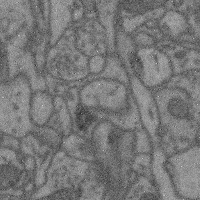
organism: Mouse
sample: Cerebral cortex